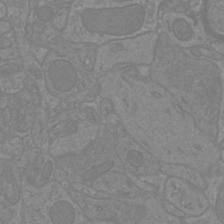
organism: Mouse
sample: Cortical neurons